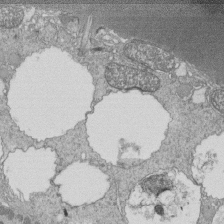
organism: Tetrahymena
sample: Cilia in tetrahymena